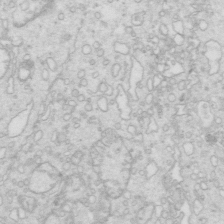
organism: Mouse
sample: Multiciliated cells